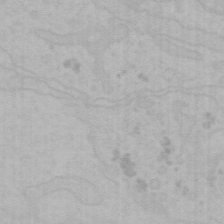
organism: Mouse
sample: Choroid plexus